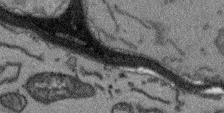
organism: Arabidopsis thaliana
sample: Root tip